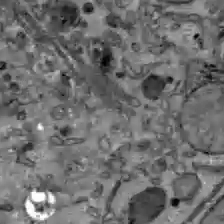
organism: C57BL Mouse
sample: Liver